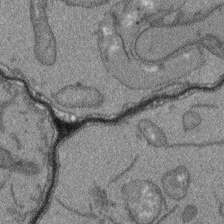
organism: Arabidopsis thaliana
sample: Root tip